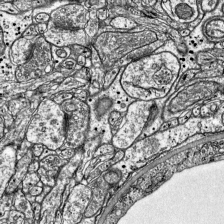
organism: Mouse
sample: Visual Cortex